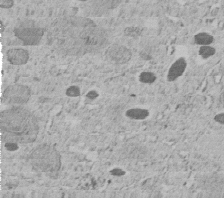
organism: C. elegans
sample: C. elegans embryo early stage